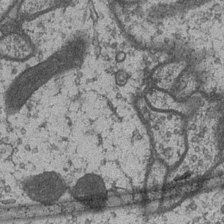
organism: Drosophila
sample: Optic medulla